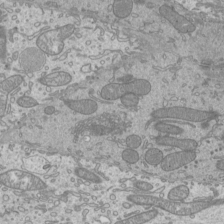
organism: Mouse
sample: Cilia; mouse epididymis